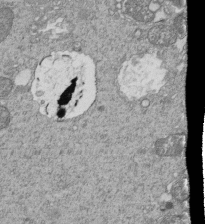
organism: Tetrahymena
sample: Cilia in tetrahymena